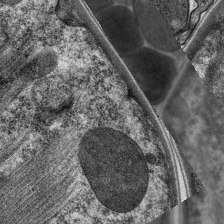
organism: C. elegans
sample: Pharynx